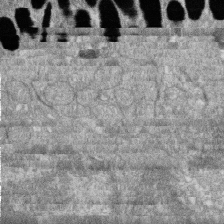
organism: Zebrafish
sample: Cilia; retinal pigment epithelium